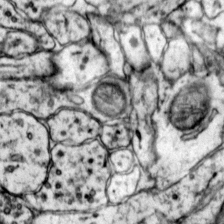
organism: Mouse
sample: Primary visual cortex